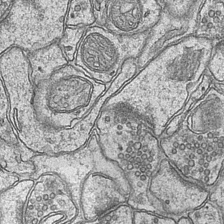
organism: Mouse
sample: CA1 Hippocampus